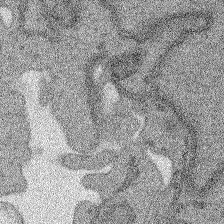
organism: Human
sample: HeLa cells